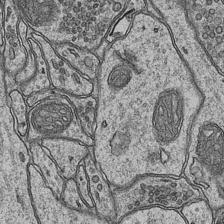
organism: Mouse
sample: CA1 Hippocampus